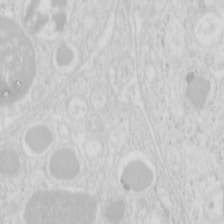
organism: Mouse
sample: Pancreas